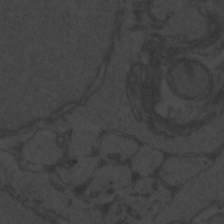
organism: Zebrafish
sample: Macrophage infected with Toxoplasma gondii